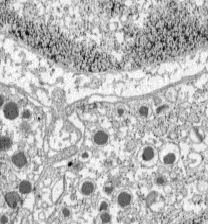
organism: C57BL Mouse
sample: Pancreatic islet